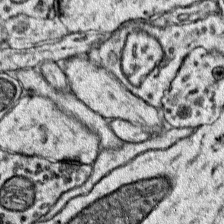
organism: Mouse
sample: Primary visual cortex